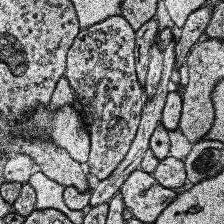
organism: Human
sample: Temporal Lobe